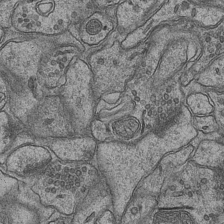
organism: Mouse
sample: CA1 Hippocampus